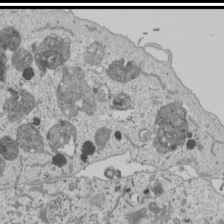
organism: Human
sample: Mitochondria in U2OS cells